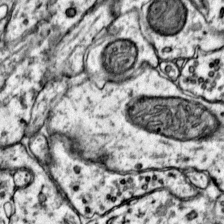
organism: Mouse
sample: Primary visual cortex